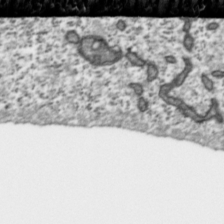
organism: Toxoplasma gondii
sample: Parasites in a vacuole inside a host cell